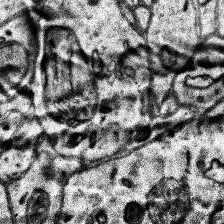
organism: Human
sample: Temporal Lobe